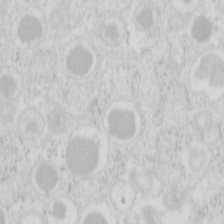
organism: Mouse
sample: Pancreas